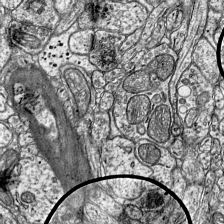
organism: Mouse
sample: Visual Cortex